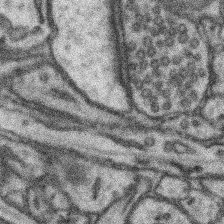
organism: Mouse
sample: Somatosensory cortex neuropil